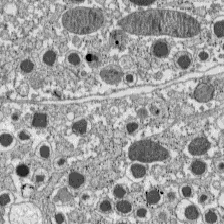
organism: C57BL Mouse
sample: Pancreatic islet